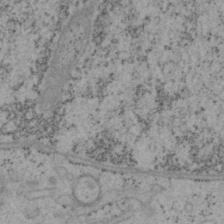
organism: Human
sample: HeLa cells